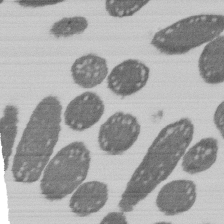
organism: E. coli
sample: Bacterial nucleoid